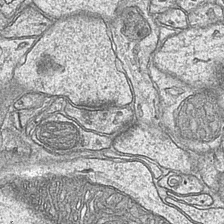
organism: Mouse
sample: CA1 Hippocampus